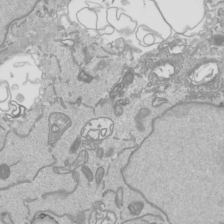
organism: Human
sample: Mitochondria in HCT116 cells